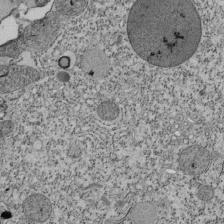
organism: Tetrahymena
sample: Cilia in tetrahymena